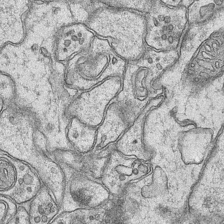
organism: Mouse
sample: CA1 Hippocampus